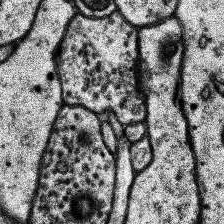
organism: Human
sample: Temporal Lobe